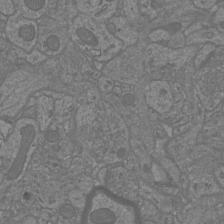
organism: Mouse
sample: Cortical neurons